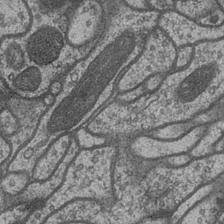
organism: Drosophila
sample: Optic medulla